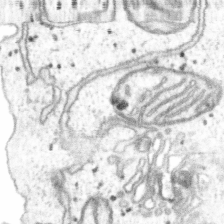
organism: Human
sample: HeLa cells